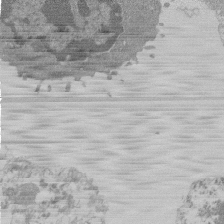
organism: Mouse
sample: Activated Pmel transgenic CD8+ T Cells